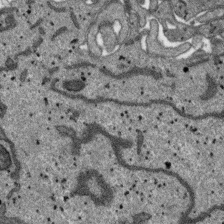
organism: Human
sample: Lung epithelial cells, uninfected (mock) control